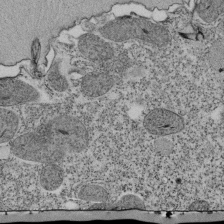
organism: Tetrahymena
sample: Cilia in tetrahymena